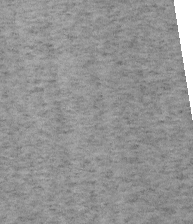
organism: Mouse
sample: OT-I killer T cells with ID8 ovarian cancer cells